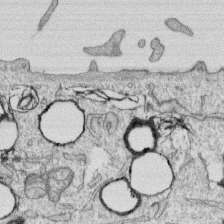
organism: Human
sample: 1205lu cells